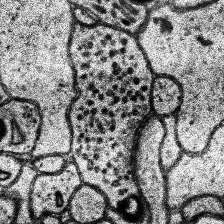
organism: Human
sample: Temporal Lobe